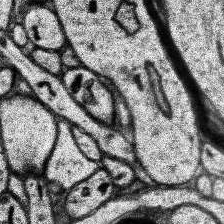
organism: Human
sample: Temporal Lobe